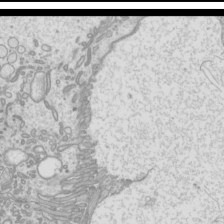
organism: Mouse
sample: Cilia; mouse epididymis